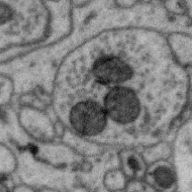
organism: Zebra finch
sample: Brain